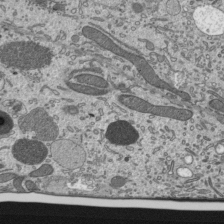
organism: Mouse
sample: Mouse epididymis efferent ductule cilia